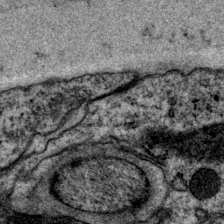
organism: P. pacificus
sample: Pharynx